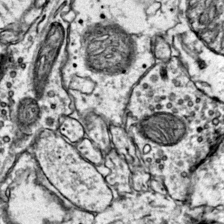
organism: Mouse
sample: Primary visual cortex